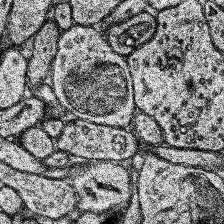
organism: Human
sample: Temporal Lobe